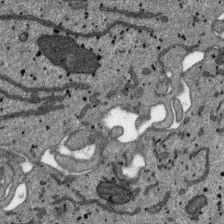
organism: Human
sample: Lung epithelial cells, uninfected (mock) control